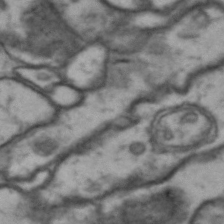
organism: Drosophila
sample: Brain